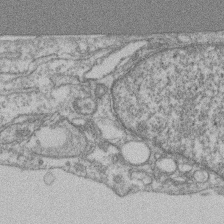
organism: Mouse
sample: T cell stromal cell synapse